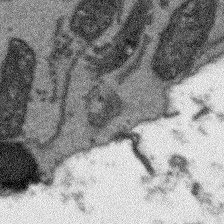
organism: Arabidopsis thaliana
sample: Root tip